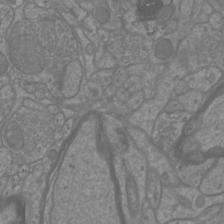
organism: Mouse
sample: Cortical neurons